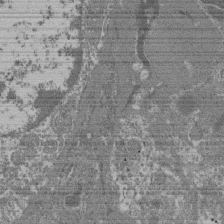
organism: Mouse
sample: Glomerulus